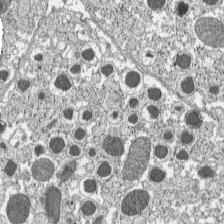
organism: C57BL Mouse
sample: Pancreatic islet